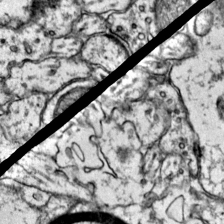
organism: Mouse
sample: Primary visual cortex